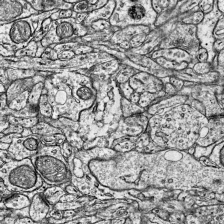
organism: Mouse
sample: Visual Cortex